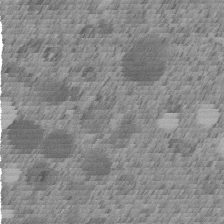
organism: C. elegans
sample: C. elegans embryo early stage